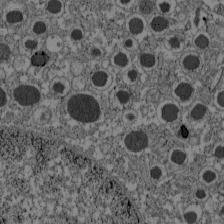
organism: C57BL Mouse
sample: Pancreatic islet